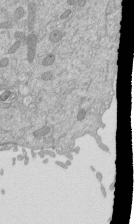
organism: Mouse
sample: ED-1 cell nuclei; centrioles